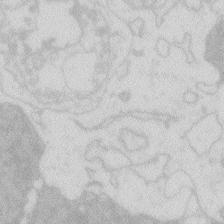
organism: Zebrafish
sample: Macrophage